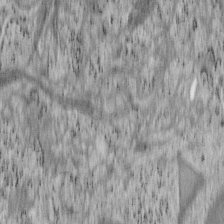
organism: Human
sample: HeLa cells